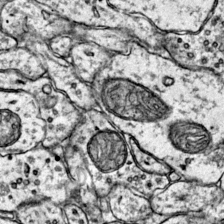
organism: Mouse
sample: Primary visual cortex